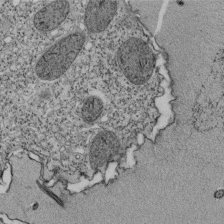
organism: Tetrahymena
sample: Cilia in tetrahymena